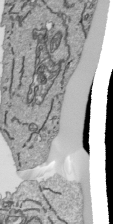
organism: Human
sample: Mitochondria in HCT116 cells